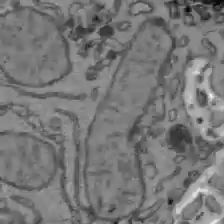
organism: C57BL Mouse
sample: Liver